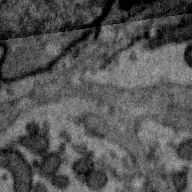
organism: Zebra finch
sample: Brain